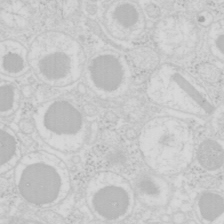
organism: Mouse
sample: Pancreas